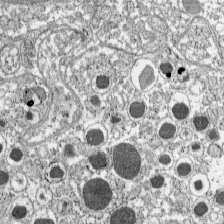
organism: C57BL Mouse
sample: Pancreatic islet